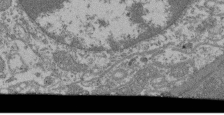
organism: Mouse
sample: Glomerulus